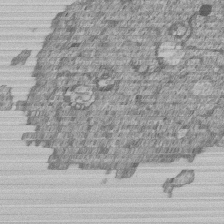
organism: Human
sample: MDA-MB-231 cells